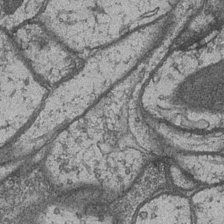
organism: Drosophila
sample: Optic medulla